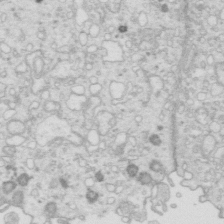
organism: Mouse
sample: Multiciliated cells